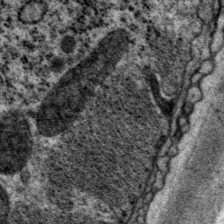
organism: P. pacificus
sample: Pharynx